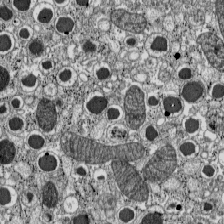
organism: C57BL Mouse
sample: Pancreatic islet